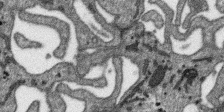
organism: Human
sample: Lung epithelial cells infected with SARS-CoV-2